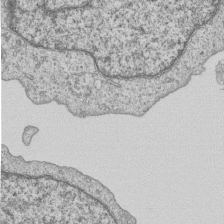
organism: Human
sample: MDA-MB-231 cells